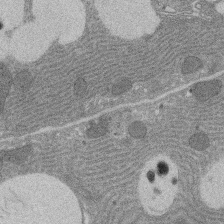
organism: Rat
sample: Salivary granule